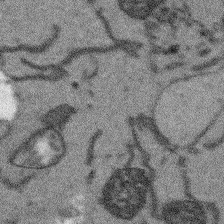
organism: Arabidopsis thaliana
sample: Root tip